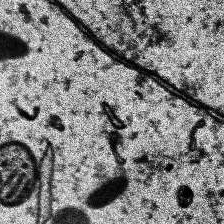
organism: Human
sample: Temporal Lobe